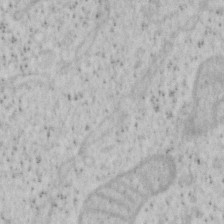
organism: Human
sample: HeLa cells